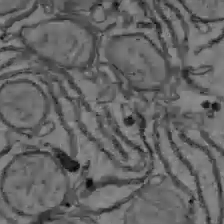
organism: C57BL Mouse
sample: Liver